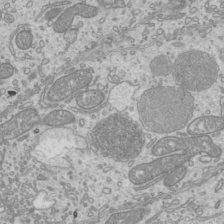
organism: Mouse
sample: Cilia; mouse epididymis